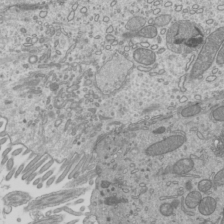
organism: Mouse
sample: Cilia; mouse epididymis